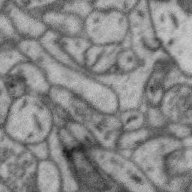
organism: Zebra finch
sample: Brain